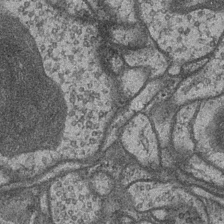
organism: Drosophila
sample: Optic medulla